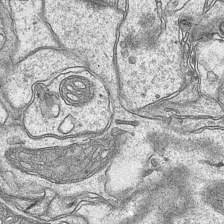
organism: Mouse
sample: CA1 Hippocampus